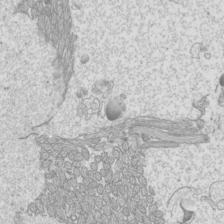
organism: Mouse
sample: Cilia; mouse epididymis